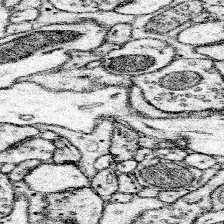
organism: Mouse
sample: Somatosensory cortex neuropil